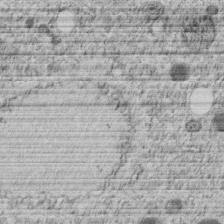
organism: C. elegans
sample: C. elegans embryo early stage